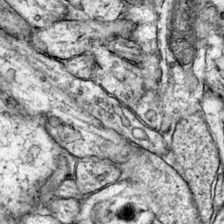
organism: Mouse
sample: Primary visual cortex